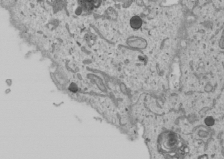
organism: Human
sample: Mitochondria in U2OS cells